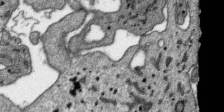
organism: Human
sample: Lung epithelial cells, uninfected (mock) control